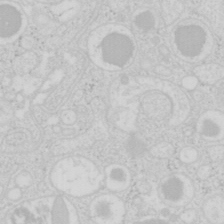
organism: Mouse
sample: Pancreas